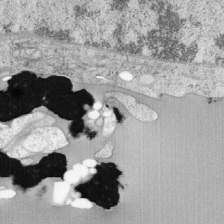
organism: Human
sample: HeLa cells